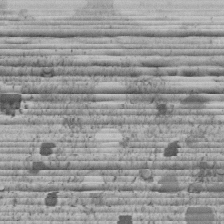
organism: C. elegans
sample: C. elegans embryo early stage